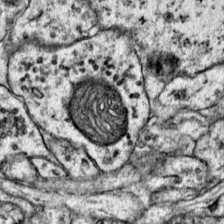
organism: Mouse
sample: Primary visual cortex